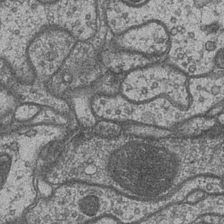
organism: Drosophila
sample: Optic medulla